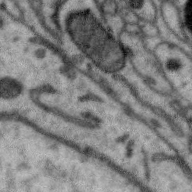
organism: Zebra finch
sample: Brain